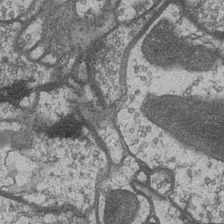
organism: Drosophila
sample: Optic medulla